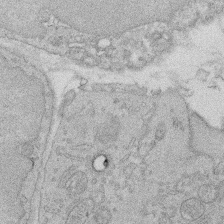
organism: Rat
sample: Salivary granule